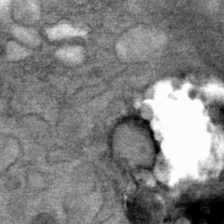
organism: Mouse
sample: Mouse Salivary gland